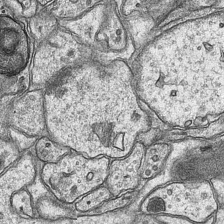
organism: Mouse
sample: CA1 Hippocampus